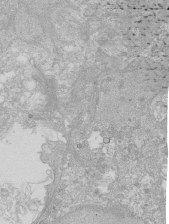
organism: Human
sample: Caco-2 cells